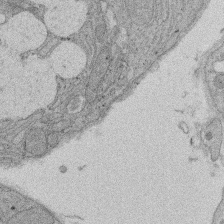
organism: Rat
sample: Salivary granule